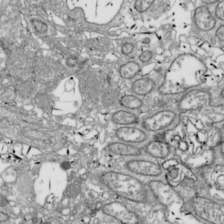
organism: Drosophila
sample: Cell division; meiosis; drosophila spermatocytes